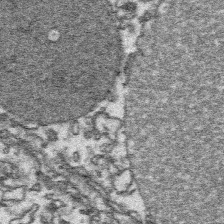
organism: Platynereis dumerilii